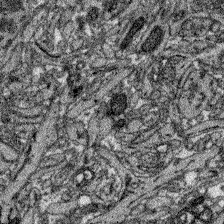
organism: Zebrafish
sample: Larval olfactory bulb